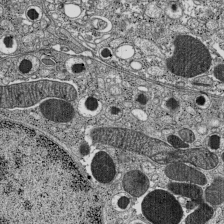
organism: C57BL Mouse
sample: Pancreatic islet